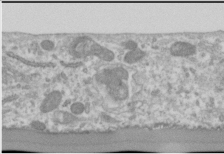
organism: Human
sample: Cilia; basal body in RPE cells